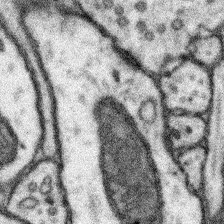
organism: Mouse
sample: Somatosensory cortex neuropil